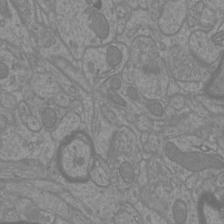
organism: Mouse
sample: Cortical neurons